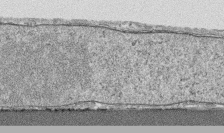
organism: Human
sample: CRL-1474